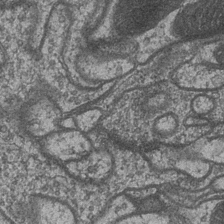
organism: Drosophila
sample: Optic medulla